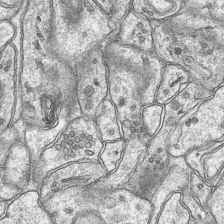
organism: Mouse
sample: CA1 Hippocampus